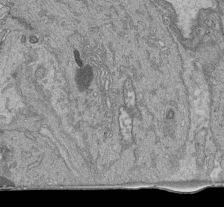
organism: Human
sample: Retinal organoid Rod and Cone cells